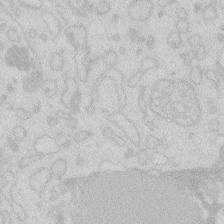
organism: Zebrafish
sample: Macrophage